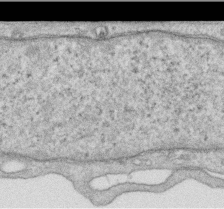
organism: Human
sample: Centriole in RPE cells